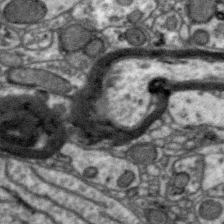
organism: Zebra finch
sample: Brain